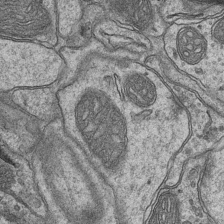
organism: Mouse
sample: CA1 Hippocampus